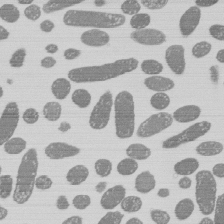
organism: E. coli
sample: Bacterial nucleoid